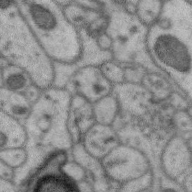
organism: Zebra finch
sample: Brain